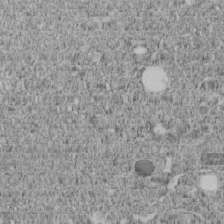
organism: C. elegans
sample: C. elegans embryo early stage